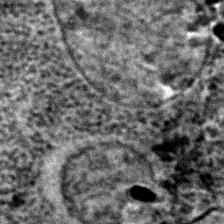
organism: C. elegans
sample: C. elegans embryo